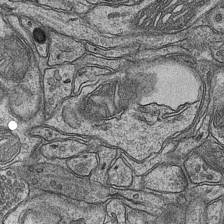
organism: Mouse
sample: CA1 Hippocampus